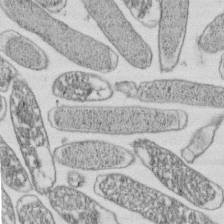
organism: E. coli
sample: Bacterial nucleoid